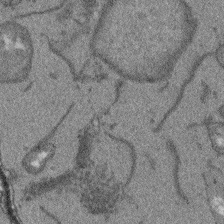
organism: Arabidopsis thaliana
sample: Root tip